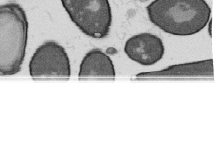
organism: B. subtilis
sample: Bacterial spore